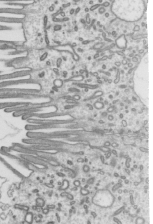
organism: Mouse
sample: Mouse epididymis efferent ductule cilia